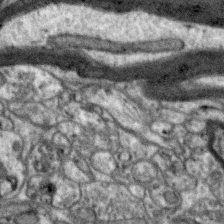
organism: Zebra finch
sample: Brain